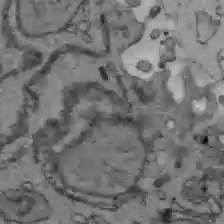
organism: C57BL Mouse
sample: Liver